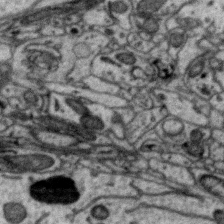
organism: Zebra finch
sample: Brain